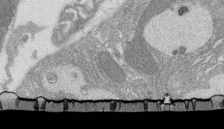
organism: Rat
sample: Salivary granule